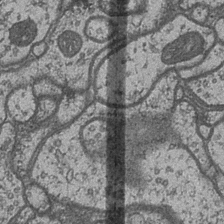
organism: Drosophila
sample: Optic medulla